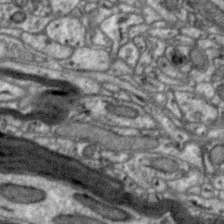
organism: Zebra finch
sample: Brain